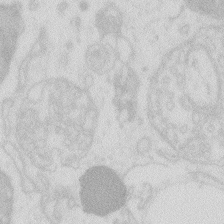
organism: Zebrafish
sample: Macrophage